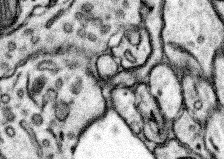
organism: Mouse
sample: Somatosensory cortex neuropil